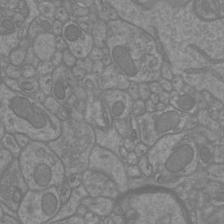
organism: Mouse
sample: Cortical neurons